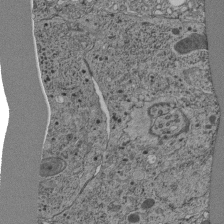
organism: C. elegans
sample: C. elegans pharynx